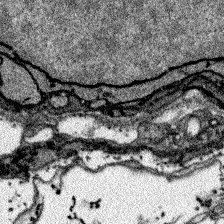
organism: Zebrafish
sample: Larval olfactory bulb